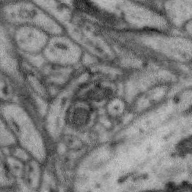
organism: Zebra finch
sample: Brain